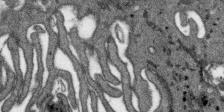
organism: Human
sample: Lung epithelial cells, uninfected (mock) control